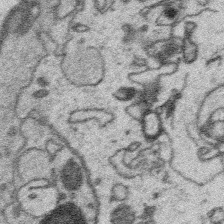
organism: Platynereis dumerilii